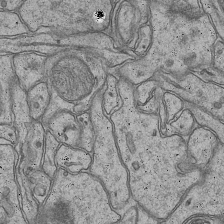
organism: Mouse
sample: CA1 Hippocampus